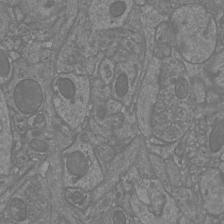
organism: Mouse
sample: Cortical neurons